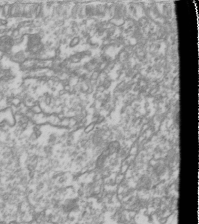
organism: Drosophila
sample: Cell division; meiosis; drosophila spermatocytes